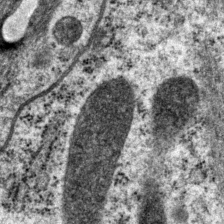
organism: P. pacificus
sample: Pharynx